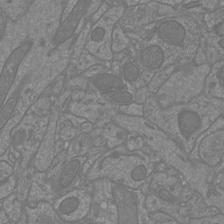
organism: Mouse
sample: Cortical neurons